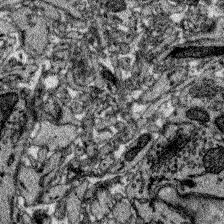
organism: Zebrafish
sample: Larval olfactory bulb